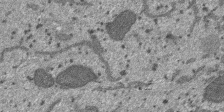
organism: Human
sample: Lung epithelial cells infected with SARS-CoV-2